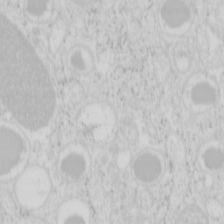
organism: Mouse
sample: Pancreas